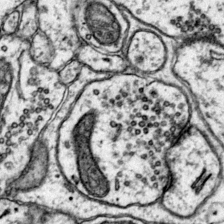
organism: Mouse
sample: Primary visual cortex